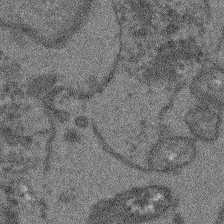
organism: Arabidopsis thaliana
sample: Root tip